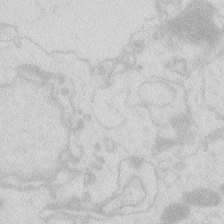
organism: Zebrafish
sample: Macrophage